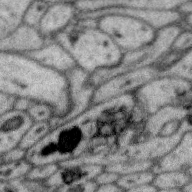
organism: Zebra finch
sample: Brain